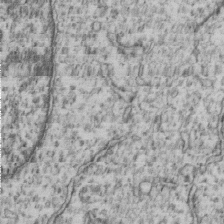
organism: Human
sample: MDA-MB-231 cells